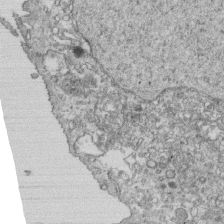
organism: Human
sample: HeLa cell HIV synapse